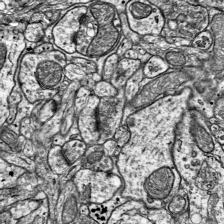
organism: Mouse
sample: Visual Cortex